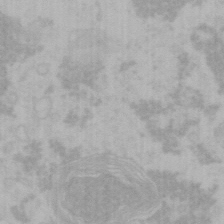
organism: Mouse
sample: Choroid plexus